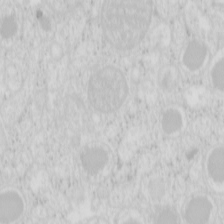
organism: Mouse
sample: Pancreas